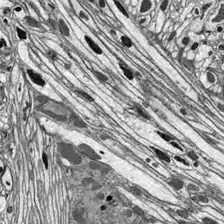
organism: Drosophila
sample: Optic lobe